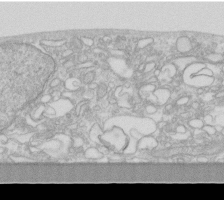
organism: Human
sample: Fibroblast cells